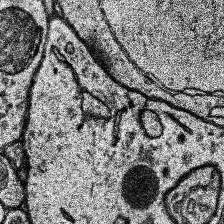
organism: Human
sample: Temporal Lobe